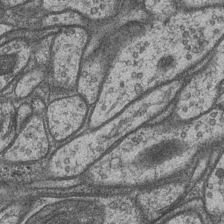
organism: Drosophila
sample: Optic medulla